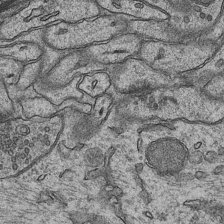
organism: Mouse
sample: CA1 Hippocampus